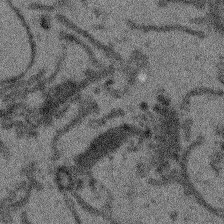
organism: Arabidopsis thaliana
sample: Root tip